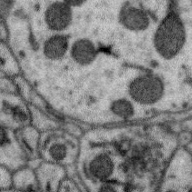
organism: Zebra finch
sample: Brain